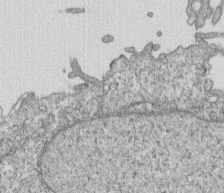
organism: Human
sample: HeLa cell HIV synapse